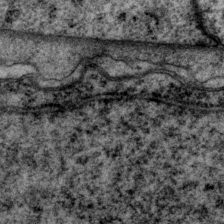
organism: P. pacificus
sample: Pharynx